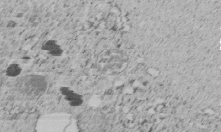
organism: C. elegans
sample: C. elegans embryo early stage